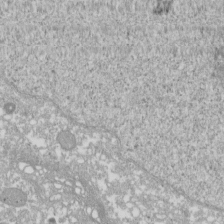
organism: Xenopus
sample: Cilia; centrioles in frog embryo cells